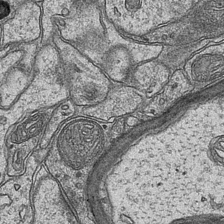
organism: Mouse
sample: CA1 Hippocampus